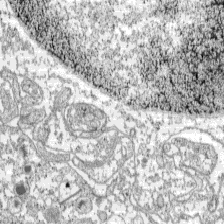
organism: C57BL Mouse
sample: Pancreatic islet